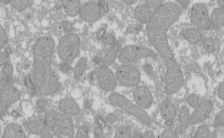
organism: Xenopus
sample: Cilia; centrioles in frog embryo cells